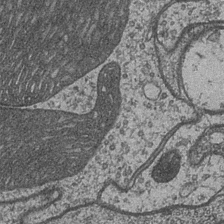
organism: Drosophila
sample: Optic medulla